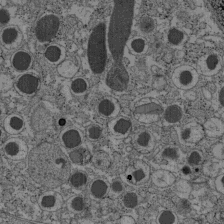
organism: C57BL Mouse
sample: Pancreatic islet